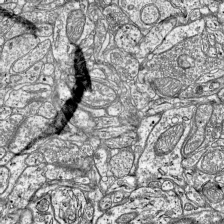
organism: Mouse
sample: Visual Cortex